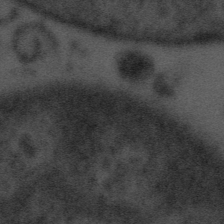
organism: Tuwongella immobilis